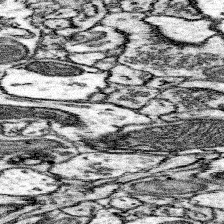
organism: Mouse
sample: Somatosensory cortex neuropil